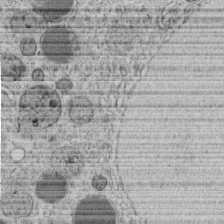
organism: C. elegans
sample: C. elegans embryo early stage